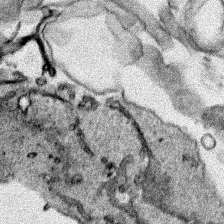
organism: Human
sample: Mitochondria in HCT116 cells